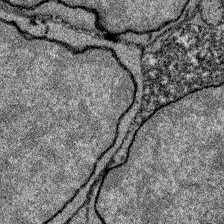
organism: Zebrafish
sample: Larval olfactory bulb